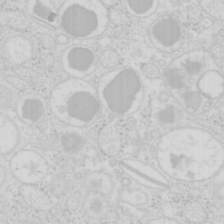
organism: Mouse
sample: Pancreas